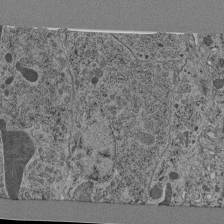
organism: C. elegans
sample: C. elegans pharynx